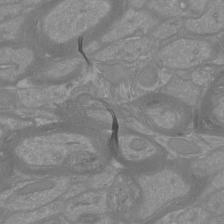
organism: Mouse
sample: Cortical neurons